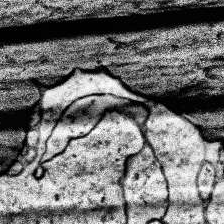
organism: Human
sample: Temporal Lobe